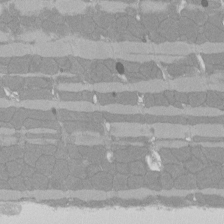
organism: Rat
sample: Left ventricle